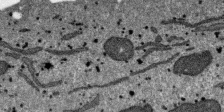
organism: Human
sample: Lung epithelial cells, uninfected (mock) control